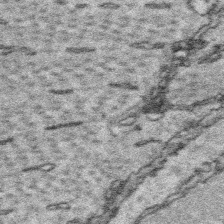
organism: Platynereis dumerilii